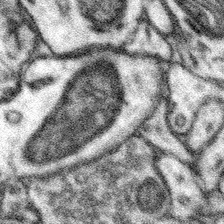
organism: Mouse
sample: Somatosensory cortex neuropil